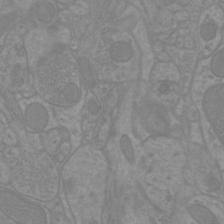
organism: Mouse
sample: Cortical neurons